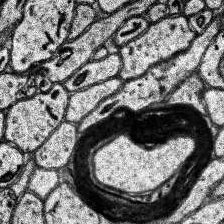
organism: Human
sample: Temporal Lobe